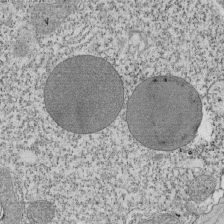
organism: Tetrahymena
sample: Cilia in tetrahymena